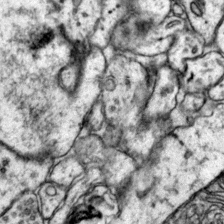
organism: Mouse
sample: Primary visual cortex